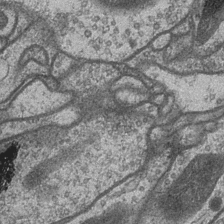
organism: Drosophila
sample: Optic medulla